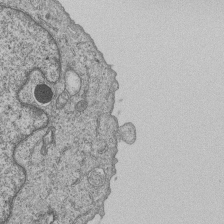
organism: Human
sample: MDA-MB-231 cells